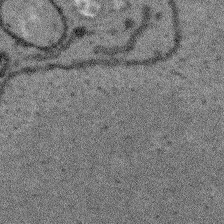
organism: Arabidopsis thaliana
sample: Root tip